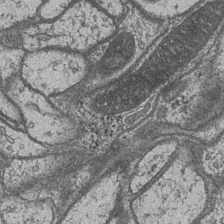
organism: Drosophila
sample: Optic medulla